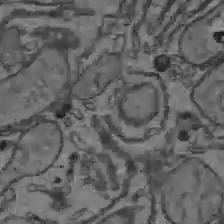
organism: C57BL Mouse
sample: Liver